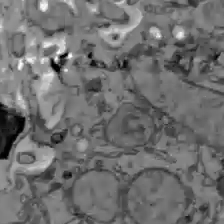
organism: C57BL Mouse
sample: Liver